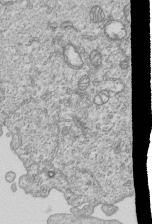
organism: Human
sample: MDA-MB-231 cells